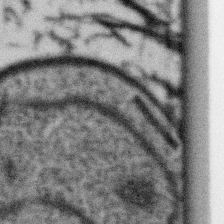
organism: Gemmata obscuriglobus